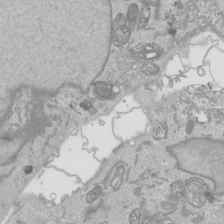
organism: Human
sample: Mitochondria in HCT116 cells